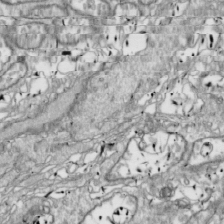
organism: Drosophila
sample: Cell division; meiosis; drosophila spermatocytes